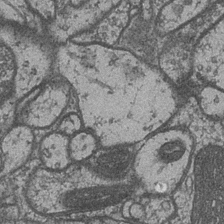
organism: Drosophila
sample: Optic medulla